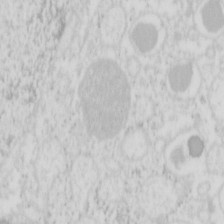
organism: Mouse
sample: Pancreas